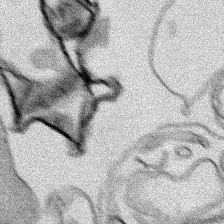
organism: Human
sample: Mitochondria in HCT116 cells